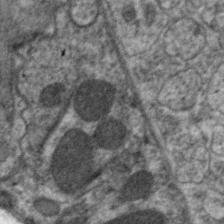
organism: C. elegans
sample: Pharynx